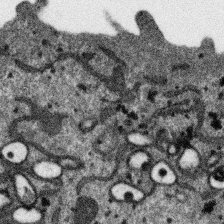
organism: Human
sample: Lung epithelial cells infected with SARS-CoV-2